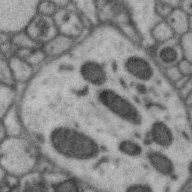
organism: Zebra finch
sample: Brain